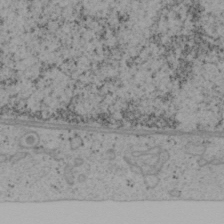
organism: Human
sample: HeLa cells